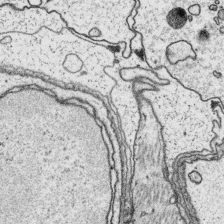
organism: Platynereis dumerilii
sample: Parapodia